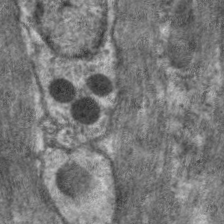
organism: C. elegans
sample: Pharynx